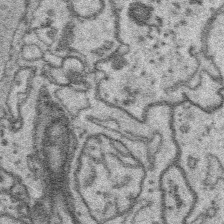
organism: Platynereis dumerilii